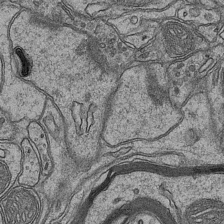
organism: Mouse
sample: CA1 Hippocampus